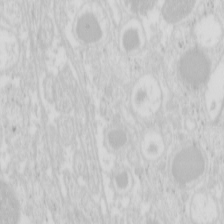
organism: Mouse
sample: Pancreas